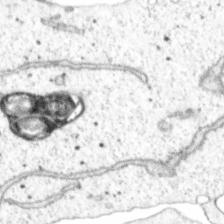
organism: Human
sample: HeLa cells